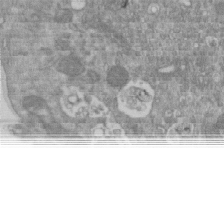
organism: Mouse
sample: ED-1 cell nuclei; centrioles